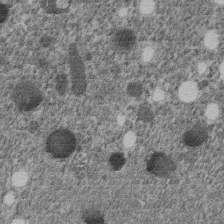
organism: C. elegans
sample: C. elegans embryo early stage